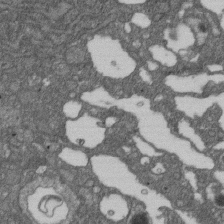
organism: Drosophila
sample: Nephrocyte